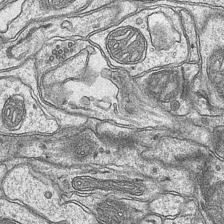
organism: Mouse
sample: CA1 Hippocampus